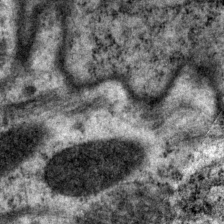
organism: P. pacificus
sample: Pharynx